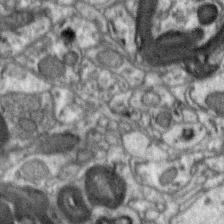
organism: Zebra finch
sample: Brain